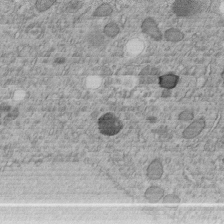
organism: C. elegans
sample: C. elegans embryo early stage